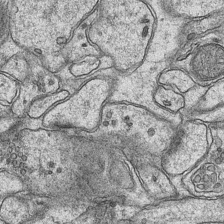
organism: Mouse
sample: CA1 Hippocampus